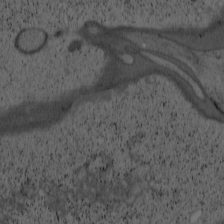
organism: African green monkey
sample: COS-7 cells